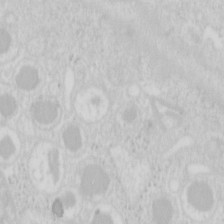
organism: Mouse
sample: Pancreas